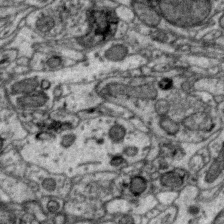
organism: Zebra finch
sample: Brain